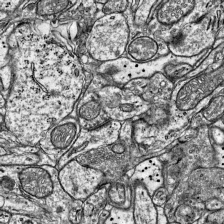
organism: Mouse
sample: Visual Cortex